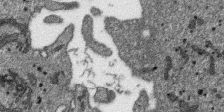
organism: Human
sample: Lung epithelial cells infected with SARS-CoV-2